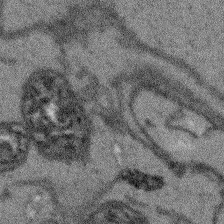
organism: Arabidopsis thaliana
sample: Root tip